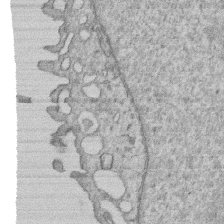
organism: Human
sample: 1205lu cells